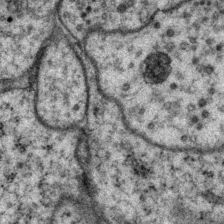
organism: P. pacificus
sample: Pharynx